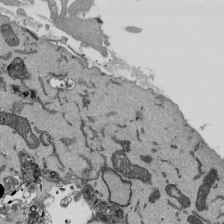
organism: Mouse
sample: ED-1 cell nuclei; centrioles